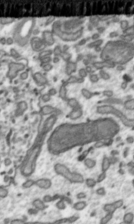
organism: Toxoplasma gondii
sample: Parasites in a vacuole inside a host cell